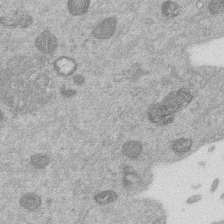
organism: Mouse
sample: Dividing mouse embryo 1 cell stage